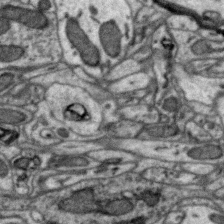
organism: Zebra finch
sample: Brain